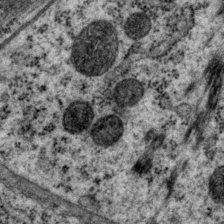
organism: P. pacificus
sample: Pharynx